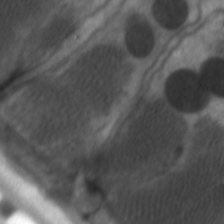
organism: C. elegans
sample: Pharynx